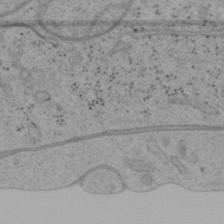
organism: Human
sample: HeLa cells